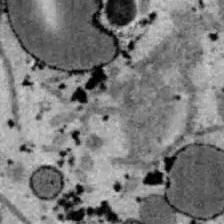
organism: Mouse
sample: Liver from an obese (ob/ob) mouse